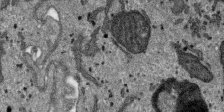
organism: Human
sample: Lung epithelial cells, uninfected (mock) control